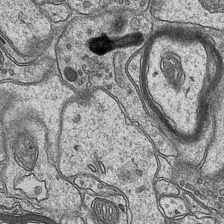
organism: Mouse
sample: CA1 Hippocampus